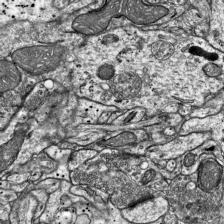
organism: Mouse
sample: Visual Cortex